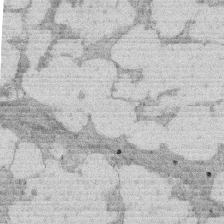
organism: Rat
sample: Salivary granule